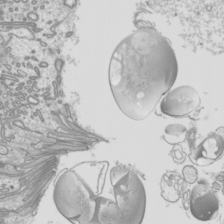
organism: Mouse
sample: Cilia; mouse epididymis